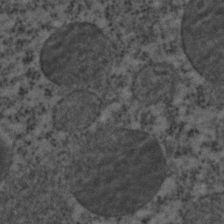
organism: C. elegans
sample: C. elegans embryo